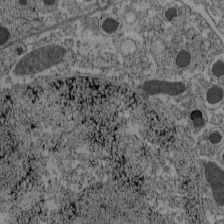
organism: C57BL Mouse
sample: Pancreatic islet